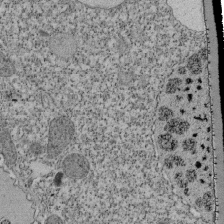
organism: Tetrahymena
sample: Cilia in tetrahymena